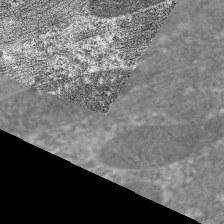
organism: C. elegans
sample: Pharynx